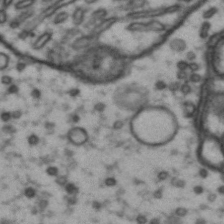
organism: Drosophila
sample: Brain